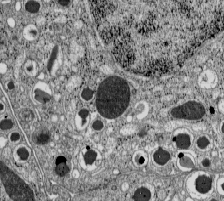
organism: C57BL Mouse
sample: Pancreatic islet